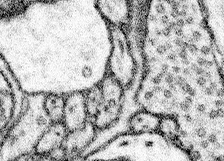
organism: Mouse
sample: Somatosensory cortex neuropil